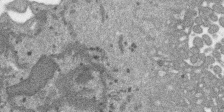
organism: Human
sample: Lung epithelial cells infected with SARS-CoV-2